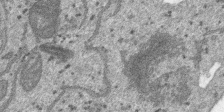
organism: Human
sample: Lung epithelial cells infected with SARS-CoV-2